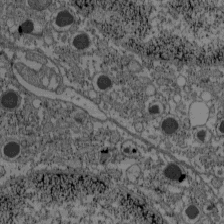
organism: C57BL Mouse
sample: Pancreatic islet